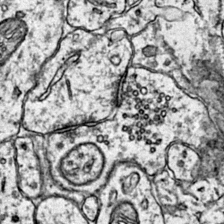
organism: Mouse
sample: Primary visual cortex